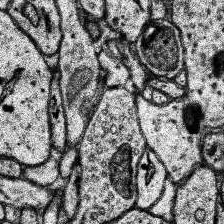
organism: Human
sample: Temporal Lobe